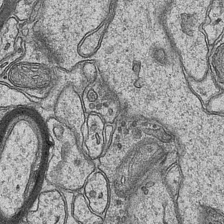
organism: Mouse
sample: CA1 Hippocampus